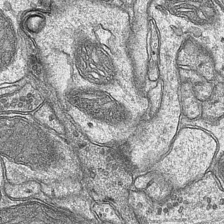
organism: Mouse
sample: CA1 Hippocampus